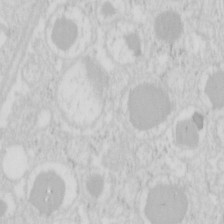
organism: Mouse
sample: Pancreas